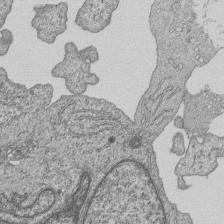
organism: Human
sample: MDA-MB-231 cells